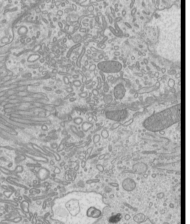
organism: Mouse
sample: Cilia; mouse epididymis